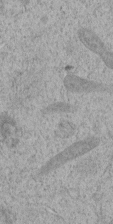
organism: C. elegans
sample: C. elegans embryo early stage